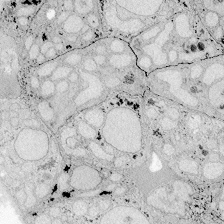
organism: Zebrafish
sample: Whole-Brain